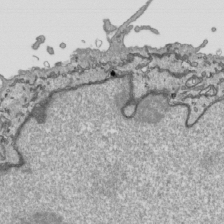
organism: Human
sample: Mitochondria in HCT116 cells